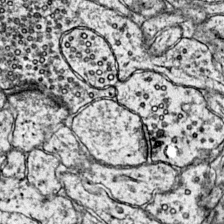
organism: Mouse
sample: Primary visual cortex